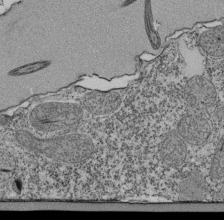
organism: Tetrahymena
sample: Cilia in tetrahymena